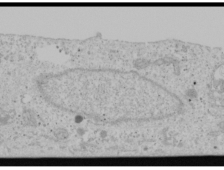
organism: Human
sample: Mitochondria in U2OS cells